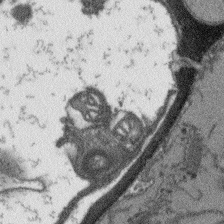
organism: Arabidopsis thaliana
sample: Root tip